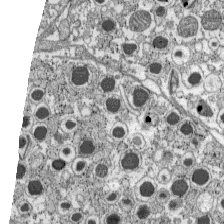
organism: C57BL Mouse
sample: Pancreatic islet